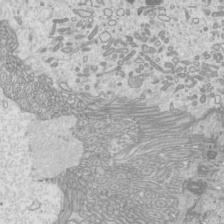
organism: Mouse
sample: Cilia; mouse epididymis